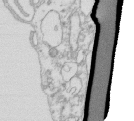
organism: Mouse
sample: Macrophages